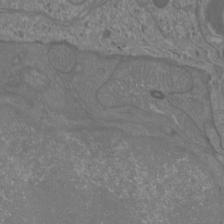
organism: Mouse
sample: Cortical neurons